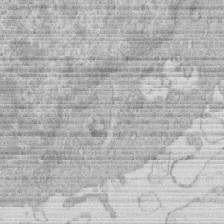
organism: Human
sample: Macrophage cells